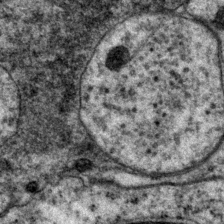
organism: P. pacificus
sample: Pharynx